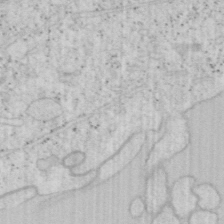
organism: Human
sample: HeLa cells